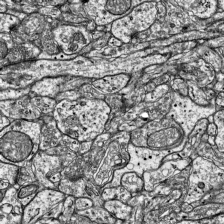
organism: Mouse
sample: Visual Cortex